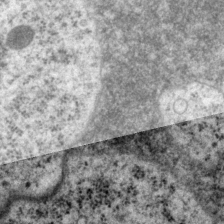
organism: P. pacificus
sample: Pharynx